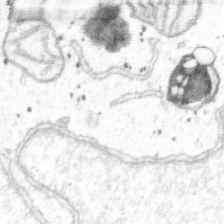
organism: Human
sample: HeLa cells